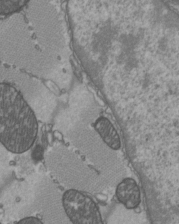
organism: C57BL Mouse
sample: Heart